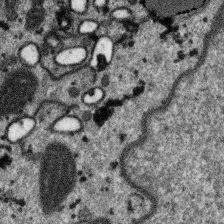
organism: Human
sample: Lung epithelial cells infected with SARS-CoV-2